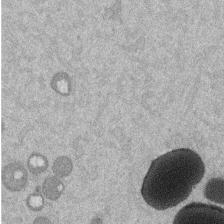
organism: Mouse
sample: Dividing mouse embryo 1 cell stage